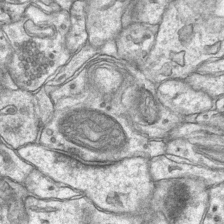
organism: Mouse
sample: CA1 Hippocampus